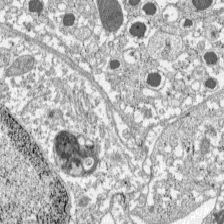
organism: C57BL Mouse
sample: Pancreatic islet